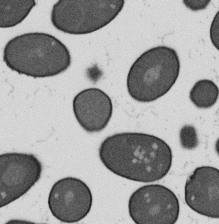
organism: B. subtilis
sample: Bacterial spore